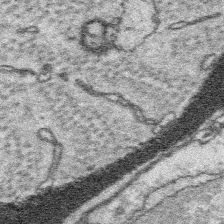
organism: Platynereis dumerilii